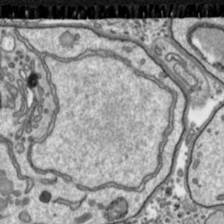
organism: Toxoplasma gondii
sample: Parasites in a vacuole inside a host cell